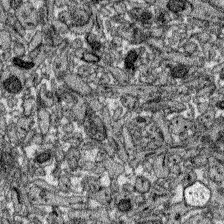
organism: Zebrafish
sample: Larval olfactory bulb